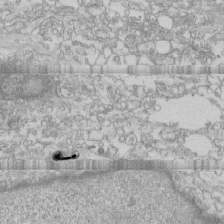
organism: Human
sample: CRL-1474